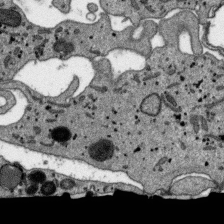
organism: Human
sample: Lung epithelial cells, uninfected (mock) control